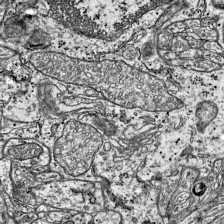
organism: Mouse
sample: Visual Cortex